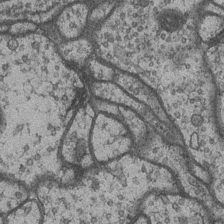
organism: Drosophila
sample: Optic medulla